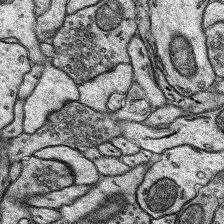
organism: Rat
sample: Hippocampus